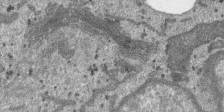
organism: Human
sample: Lung epithelial cells infected with SARS-CoV-2